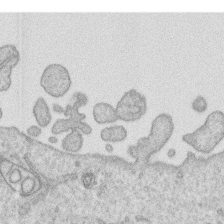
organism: Human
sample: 1205lu cells